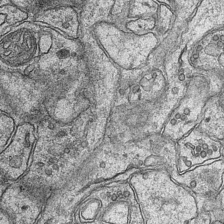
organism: Mouse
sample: CA1 Hippocampus